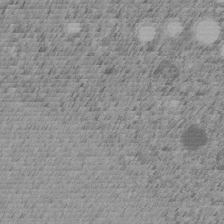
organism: C. elegans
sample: C. elegans embryo early stage